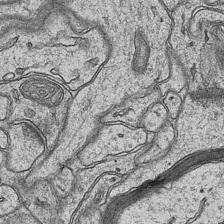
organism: Mouse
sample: CA1 Hippocampus